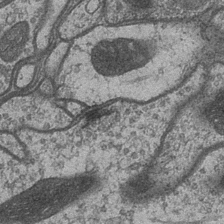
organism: Drosophila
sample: Optic medulla